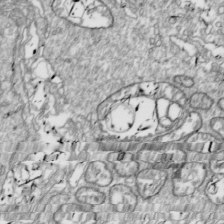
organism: Drosophila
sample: Cell division; meiosis; drosophila spermatocytes